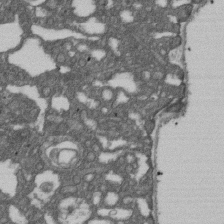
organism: Drosophila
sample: Nephrocyte